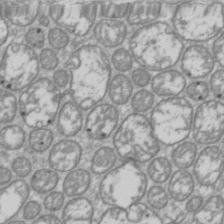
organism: Drosophila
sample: Cell division; meiosis; drosophila spermatocytes